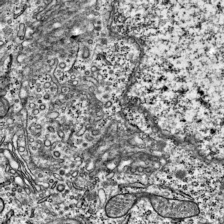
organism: Mouse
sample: Visual Cortex